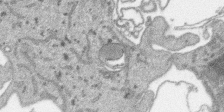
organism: Human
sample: Lung epithelial cells infected with SARS-CoV-2